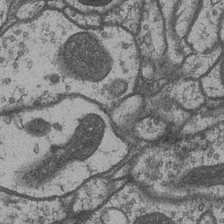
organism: Drosophila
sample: Optic medulla